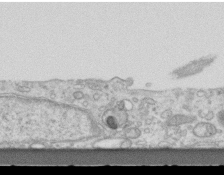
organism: Mouse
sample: Centriole in ependymal cells